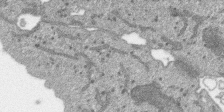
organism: Human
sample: Lung epithelial cells infected with SARS-CoV-2